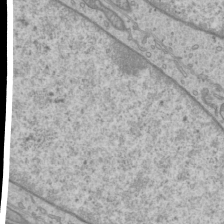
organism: Mouse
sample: Cilia; mouse epididymis